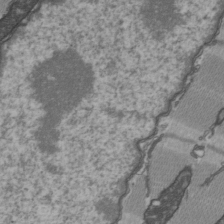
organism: C57BL Mouse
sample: Heart